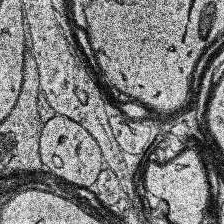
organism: Human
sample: Temporal Lobe